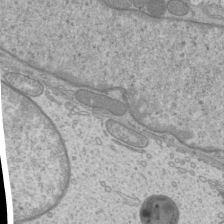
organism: Mouse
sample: Cilia; mouse epididymis